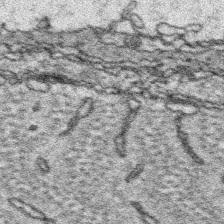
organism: Platynereis dumerilii